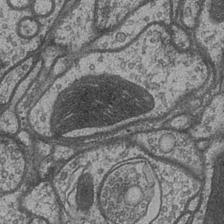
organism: Drosophila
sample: Optic medulla